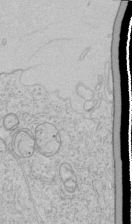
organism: Human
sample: Mitochondria in HCT116 cells